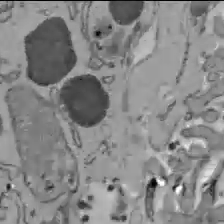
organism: C57BL Mouse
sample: Liver